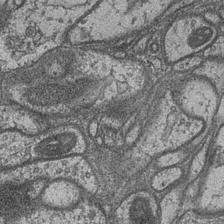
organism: Drosophila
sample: Optic medulla